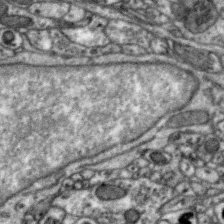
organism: Zebra finch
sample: Brain